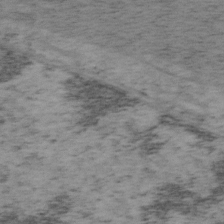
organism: Mouse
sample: OT-I killer T cells with ID8 ovarian cancer cells